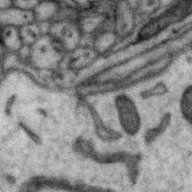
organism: Zebra finch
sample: Brain